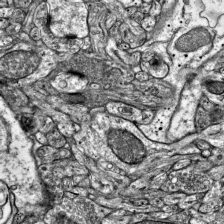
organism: Mouse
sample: Visual Cortex